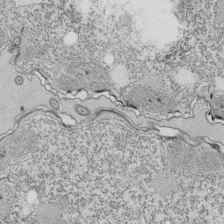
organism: Tetrahymena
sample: Cilia in tetrahymena